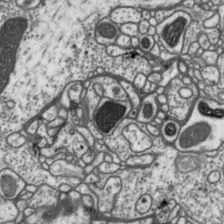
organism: Drosophila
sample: Protocerebral bridge